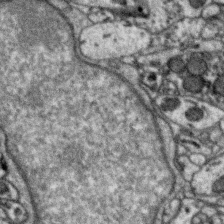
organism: Zebra finch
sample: Brain